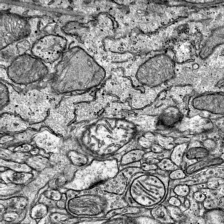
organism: Mouse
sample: Visual Cortex